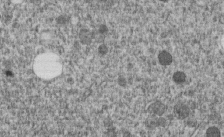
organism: C. elegans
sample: C. elegans embryo early stage